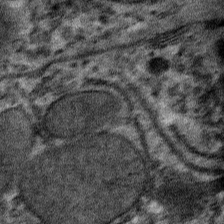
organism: Mouse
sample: Mouse hepatocytes